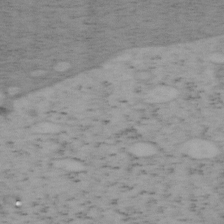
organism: Mouse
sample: OT-I killer T cells with ID8 ovarian cancer cells